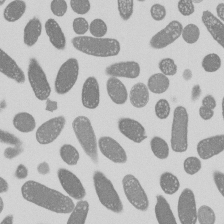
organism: E. coli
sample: Bacterial nucleoid